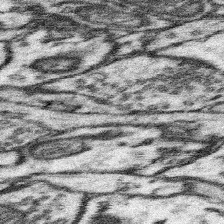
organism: Mouse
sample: Somatosensory cortex neuropil